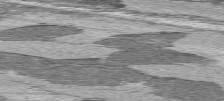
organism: C57BL Mouse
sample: Heart